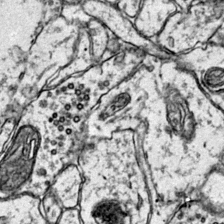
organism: Mouse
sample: Primary visual cortex